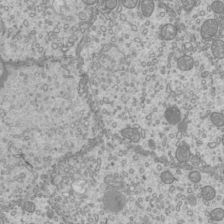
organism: Mouse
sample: Cilia; mouse epididymis